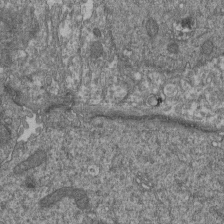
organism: Human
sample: Retinal organoid Rod and Cone cells